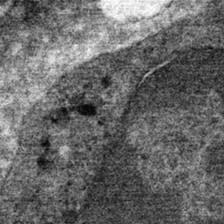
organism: Mouse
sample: Mouse hepatocytes